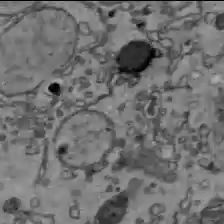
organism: C57BL Mouse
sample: Liver